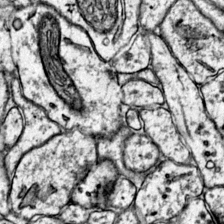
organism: Mouse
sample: Primary visual cortex